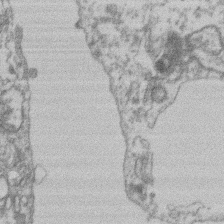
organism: Mouse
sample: T cell stromal cell synapse